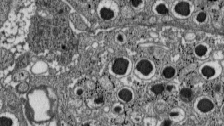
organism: C57BL Mouse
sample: Pancreatic islet